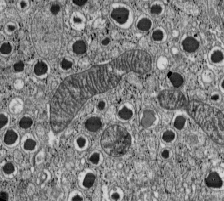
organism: C57BL Mouse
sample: Pancreatic islet